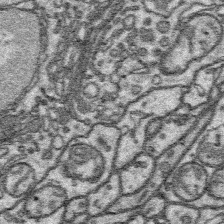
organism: Platynereis dumerilii